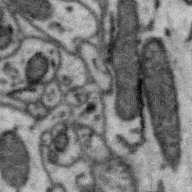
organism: Zebra finch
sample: Brain